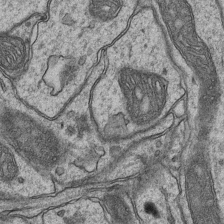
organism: Mouse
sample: CA1 Hippocampus